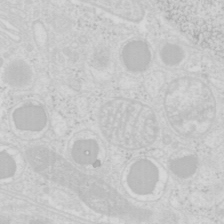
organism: Mouse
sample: Pancreas